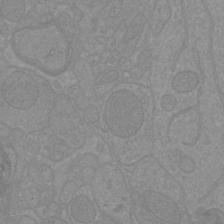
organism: Mouse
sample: Cortical neurons